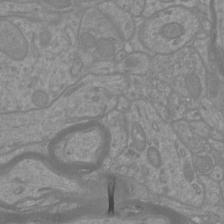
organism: Mouse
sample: Cortical neurons